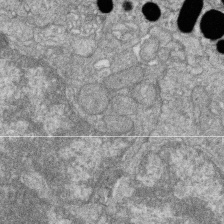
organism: Zebrafish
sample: Cilia; retinal pigment epithelium